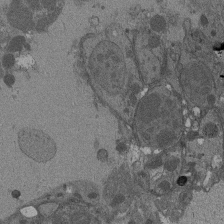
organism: Drosophila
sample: Antenna